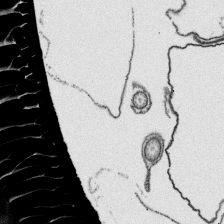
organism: Platynereis dumerilii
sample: Parapodia